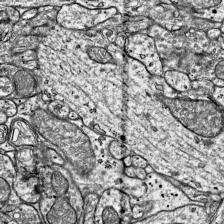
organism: Mouse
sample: Visual Cortex